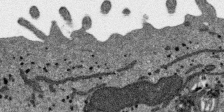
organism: Human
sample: Lung epithelial cells, uninfected (mock) control